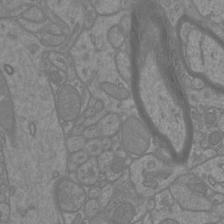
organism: Mouse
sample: Cortical neurons